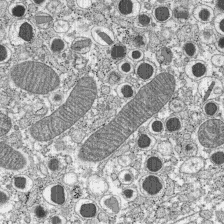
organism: C57BL Mouse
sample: Pancreatic islet